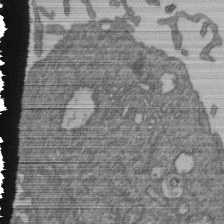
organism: Human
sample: Retinal organoid Rod and Cone cells